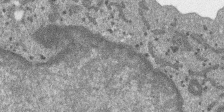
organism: Human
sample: Lung epithelial cells infected with SARS-CoV-2